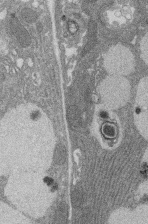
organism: Rat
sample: Salivary granule